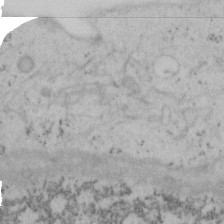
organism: Human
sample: HeLa cells